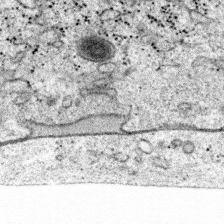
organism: Human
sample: HeLa cells